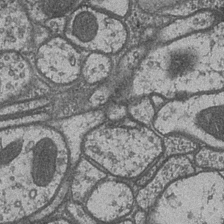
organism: Drosophila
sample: Optic medulla